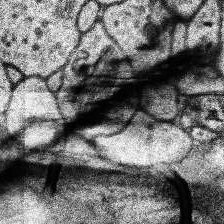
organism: Human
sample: Temporal Lobe